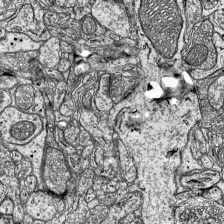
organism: Mouse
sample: Visual Cortex